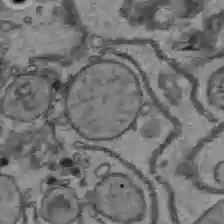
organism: C57BL Mouse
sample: Liver